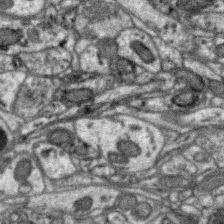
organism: Zebra finch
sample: Brain